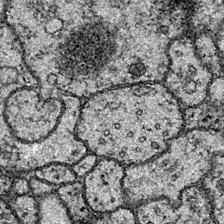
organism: Drosophila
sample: Ventral Nerve Cord